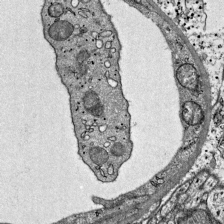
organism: Mouse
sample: Visual Cortex